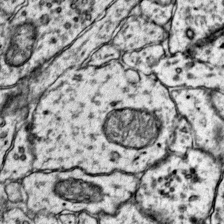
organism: Mouse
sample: Primary visual cortex